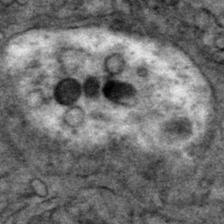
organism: Mouse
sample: Mouse hepatocytes